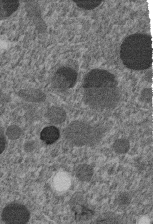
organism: C. elegans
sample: C. elegans embryo early stage